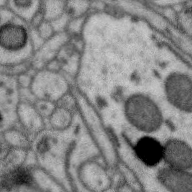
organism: Zebra finch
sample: Brain